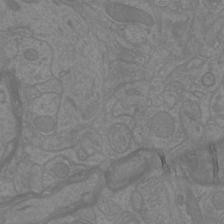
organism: Mouse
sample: Cortical neurons